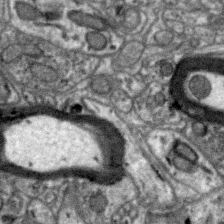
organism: Zebra finch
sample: Brain